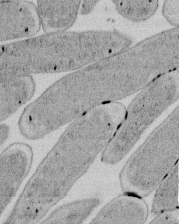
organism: E. coli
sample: Bacterial nucleoid